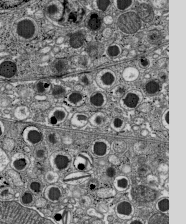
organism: C57BL Mouse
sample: Pancreatic islet